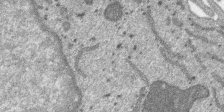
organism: Human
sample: Lung epithelial cells infected with SARS-CoV-2